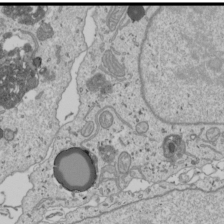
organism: Human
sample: Mitochondria in U2OS cells